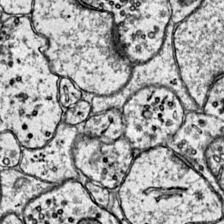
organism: Mouse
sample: Primary visual cortex